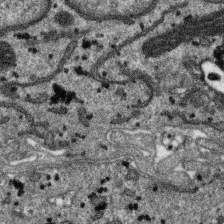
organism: Human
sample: Lung epithelial cells infected with SARS-CoV-2